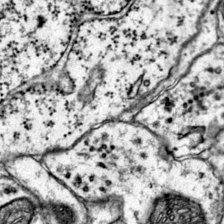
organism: Mouse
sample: Primary visual cortex